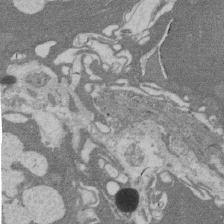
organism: Rat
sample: Salivary granule